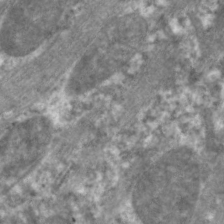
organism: C. elegans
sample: Pharynx